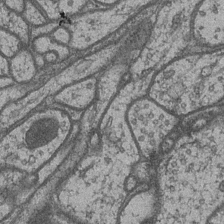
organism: Drosophila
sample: Optic medulla